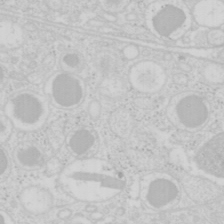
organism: Mouse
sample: Pancreas